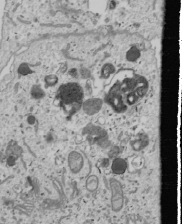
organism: Human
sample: Mitochondria in U2OS cells